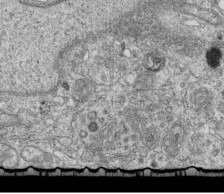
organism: Human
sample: HeLa cell HIV synapse